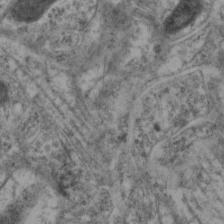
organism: Mouse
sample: Neocortex